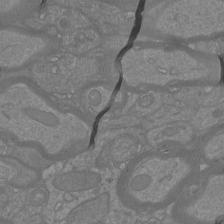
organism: Mouse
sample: Cortical neurons